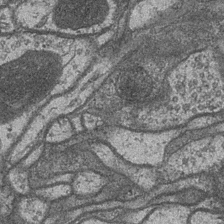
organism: Drosophila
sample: Optic medulla